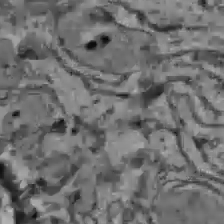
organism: C57BL Mouse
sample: Liver